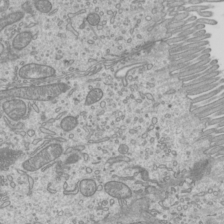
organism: Mouse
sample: Cilia; mouse epididymis